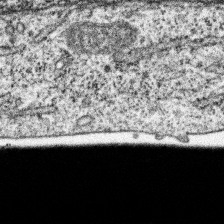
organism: Human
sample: HeLa cells